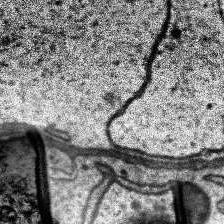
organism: Human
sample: Temporal Lobe